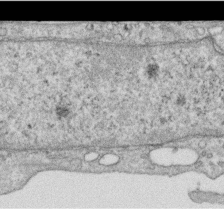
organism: Human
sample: Centriole in RPE cells